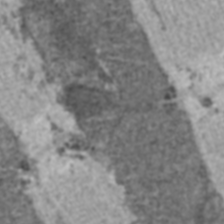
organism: C57BL Mouse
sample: Heart